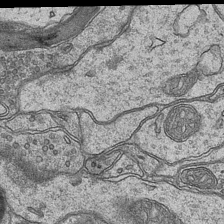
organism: Mouse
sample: CA1 Hippocampus